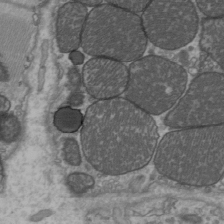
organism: C57BL Mouse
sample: Heart